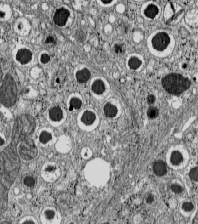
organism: C57BL Mouse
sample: Pancreatic islet